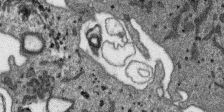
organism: Human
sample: Lung epithelial cells infected with SARS-CoV-2